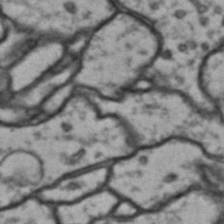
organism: Drosophila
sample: Brain